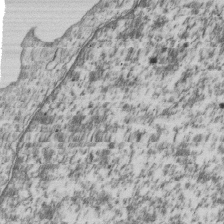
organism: Human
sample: MDA-MB-231 cells